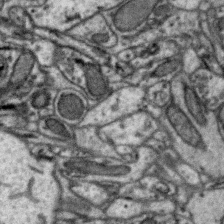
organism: Zebra finch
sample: Brain